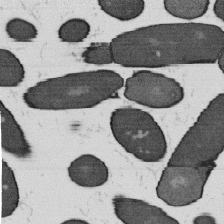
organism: B. subtilis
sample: Bacterial spore